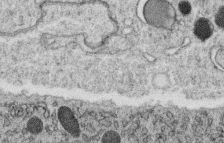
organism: C. elegans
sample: C. elegans oocyte; sperm cells